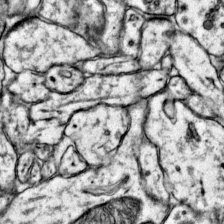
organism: Mouse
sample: Primary visual cortex